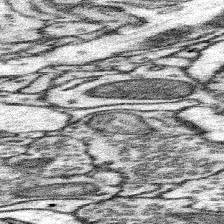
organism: Mouse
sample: Somatosensory cortex neuropil